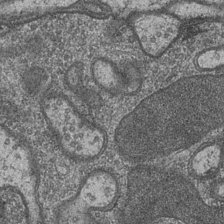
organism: Drosophila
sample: Optic medulla